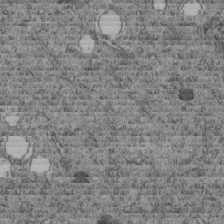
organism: C. elegans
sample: C. elegans embryo early stage